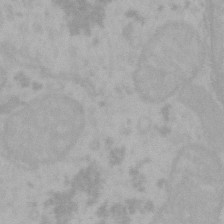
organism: Mouse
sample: Choroid plexus